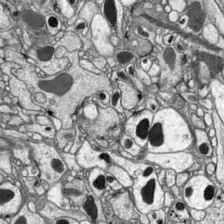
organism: Drosophila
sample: Optic lobe